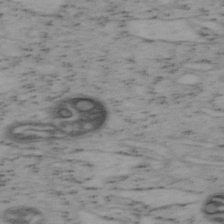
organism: Mouse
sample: OT-I killer T cells with ID8 ovarian cancer cells